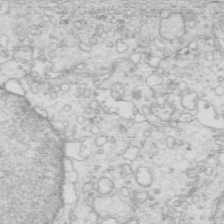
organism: Mouse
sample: Multiciliated cells